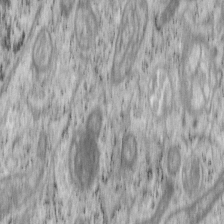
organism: Human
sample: HeLa cells